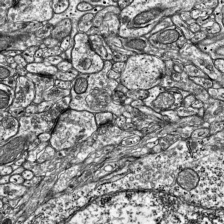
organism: Mouse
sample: Visual Cortex